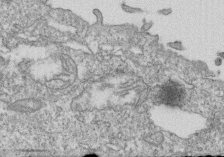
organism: Human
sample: HeLa cell HIV synapse